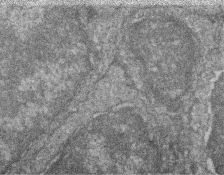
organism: Zebrafish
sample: Cilia; retinal pigment epithelium